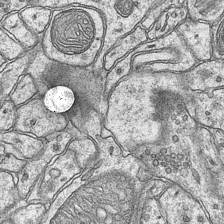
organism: Mouse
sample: CA1 Hippocampus